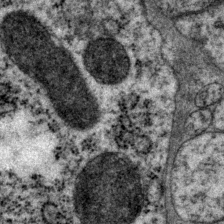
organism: P. pacificus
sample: Pharynx